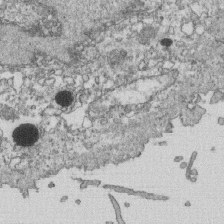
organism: Human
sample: HeLa cell HIV synapse